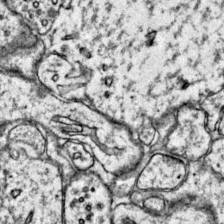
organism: Mouse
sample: Primary visual cortex